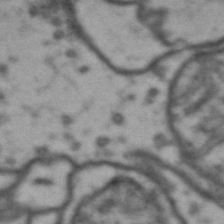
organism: Drosophila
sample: Brain